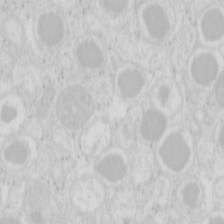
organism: Mouse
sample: Pancreas